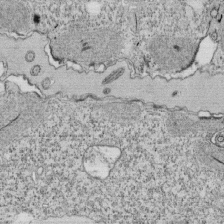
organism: Tetrahymena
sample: Cilia in tetrahymena